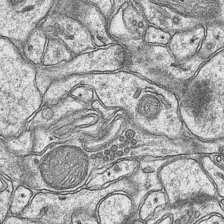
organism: Mouse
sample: CA1 Hippocampus